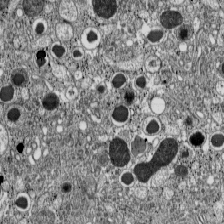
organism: C57BL Mouse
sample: Pancreatic islet